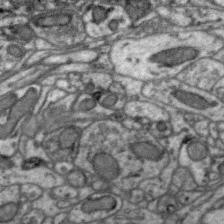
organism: Zebra finch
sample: Brain